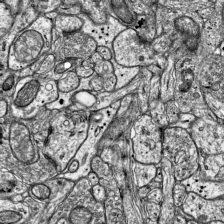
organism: Mouse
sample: Visual Cortex